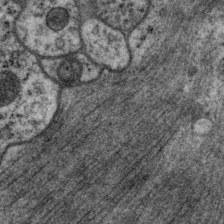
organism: P. pacificus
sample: Pharynx